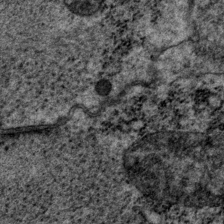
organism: P. pacificus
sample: Pharynx